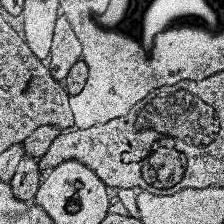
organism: Human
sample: Temporal Lobe